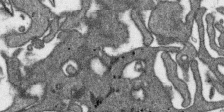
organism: Human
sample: Lung epithelial cells, uninfected (mock) control